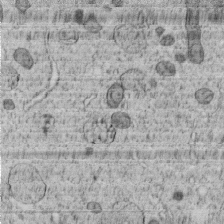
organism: C. elegans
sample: C. elegans embryo early stage